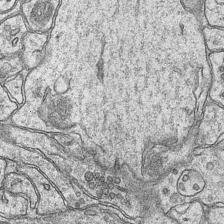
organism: Mouse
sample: CA1 Hippocampus